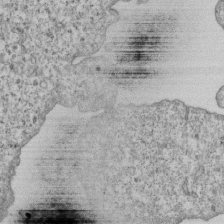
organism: Human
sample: MDA-MB-231 cells